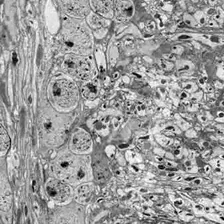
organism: Drosophila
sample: Optic lobe